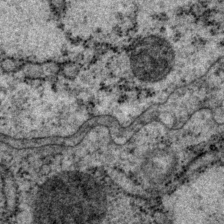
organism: P. pacificus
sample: Pharynx